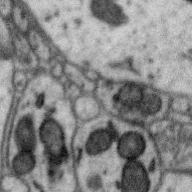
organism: Zebra finch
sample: Brain